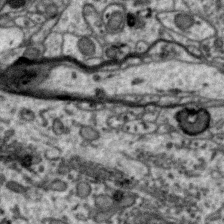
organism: Zebra finch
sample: Brain